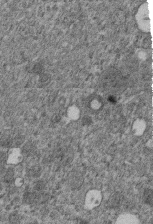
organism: C. elegans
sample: C. elegans embryo early stage